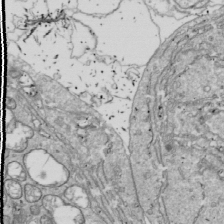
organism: Drosophila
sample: Cell division; meiosis; drosophila spermatocytes